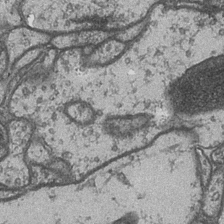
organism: Drosophila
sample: Optic medulla